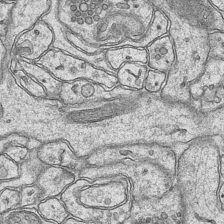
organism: Mouse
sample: CA1 Hippocampus